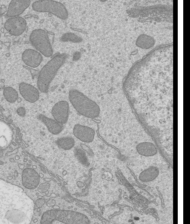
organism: Mouse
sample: Cilia; mouse epididymis